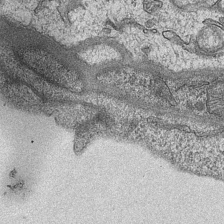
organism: Mouse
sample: CA1 Hippocampus